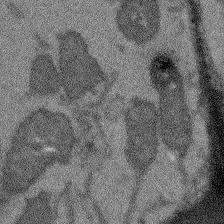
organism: Arabidopsis thaliana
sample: Root tip